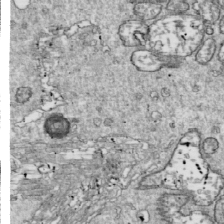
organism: Drosophila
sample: Cell division; meiosis; drosophila spermatocytes